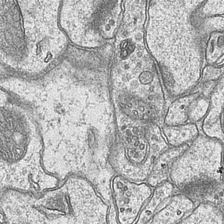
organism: Mouse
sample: CA1 Hippocampus